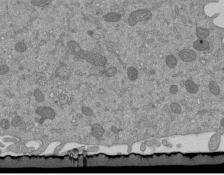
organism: Mouse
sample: ED-1 cell nuclei; centrioles